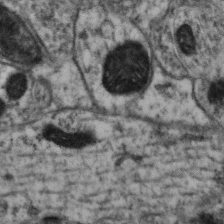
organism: Mouse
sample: Neocortex